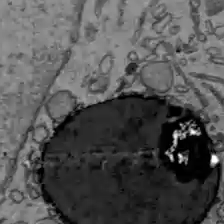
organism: C57BL Mouse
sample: Liver